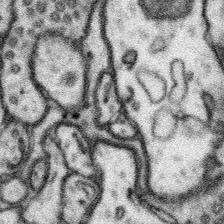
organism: Mouse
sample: Somatosensory cortex neuropil